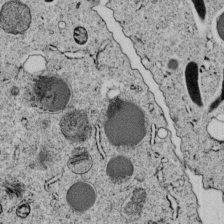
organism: C. elegans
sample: C. elegans embryo early stage